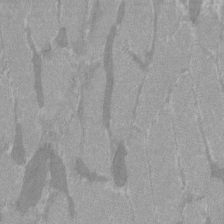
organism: C57BL Mouse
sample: Tibialis anterior muscle cell